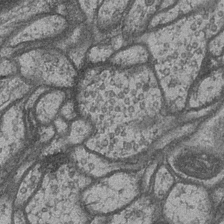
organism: Drosophila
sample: Optic medulla